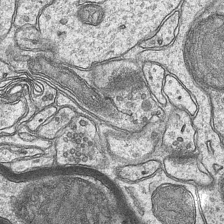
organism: Mouse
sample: CA1 Hippocampus